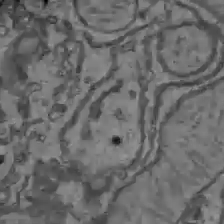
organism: C57BL Mouse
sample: Liver